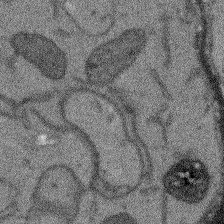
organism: Arabidopsis thaliana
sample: Root tip